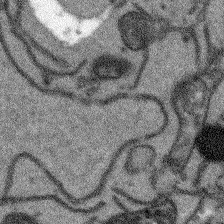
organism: Arabidopsis thaliana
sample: Root tip